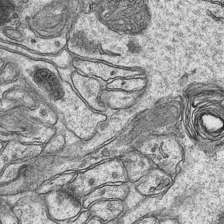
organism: Mouse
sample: CA1 Hippocampus